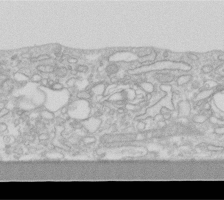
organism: Human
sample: Fibroblast cells